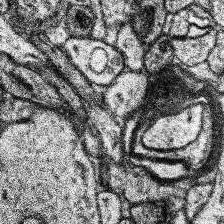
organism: Human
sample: Temporal Lobe